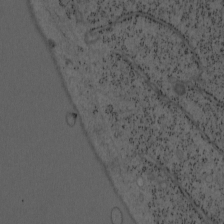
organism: Mouse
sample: OT-I killer T cells with ID8 ovarian cancer cells